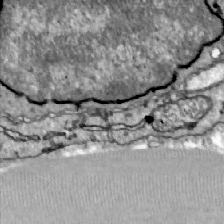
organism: Zebrafish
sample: Actinotrichia fibers